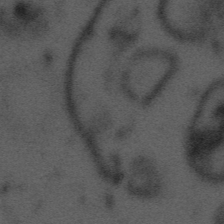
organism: Tuwongella immobilis